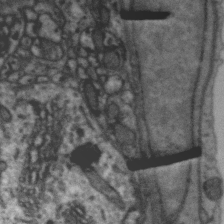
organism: Zebra finch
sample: Brain